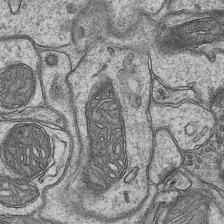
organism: Mouse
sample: CA1 Hippocampus